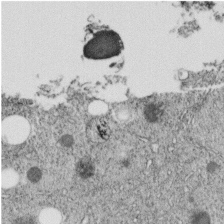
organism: C. elegans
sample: C. elegans embryo early stage